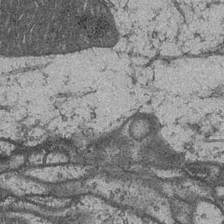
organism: Drosophila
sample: Optic medulla